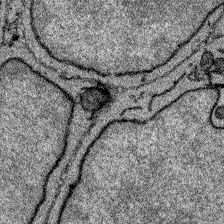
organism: Zebrafish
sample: Larval olfactory bulb